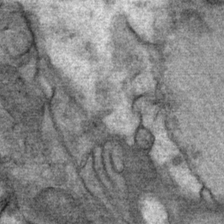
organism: Mouse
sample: Mouse Salivary gland